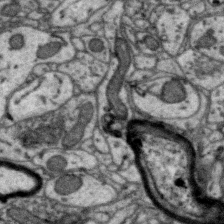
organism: Zebra finch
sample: Brain